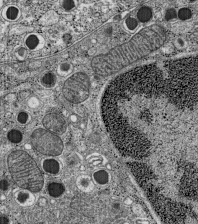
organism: C57BL Mouse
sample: Pancreatic islet